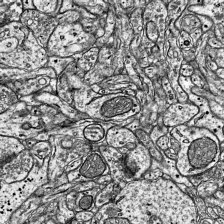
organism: Mouse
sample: Visual Cortex